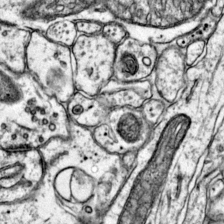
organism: Mouse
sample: Primary visual cortex